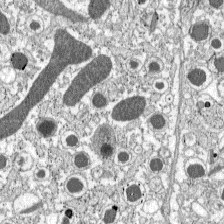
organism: C57BL Mouse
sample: Pancreatic islet